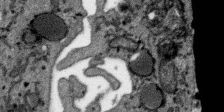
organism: Human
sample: Lung epithelial cells, uninfected (mock) control